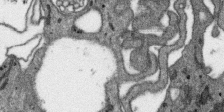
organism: Human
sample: Lung epithelial cells, uninfected (mock) control